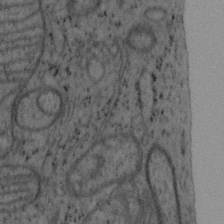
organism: Human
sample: HeLa cells